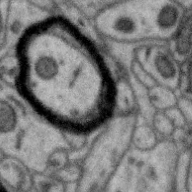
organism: Zebra finch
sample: Brain